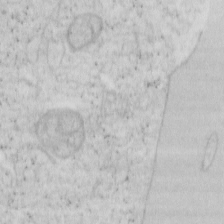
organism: Human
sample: HeLa cells